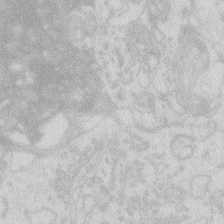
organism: Zebrafish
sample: Macrophage